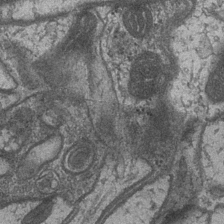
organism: Drosophila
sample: Optic medulla